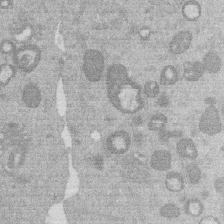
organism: Mouse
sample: Dividing mouse embryo 1 cell stage